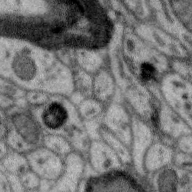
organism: Zebra finch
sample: Brain